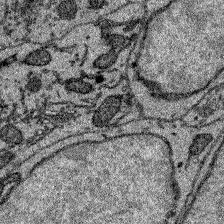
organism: Zebrafish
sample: Larval olfactory bulb